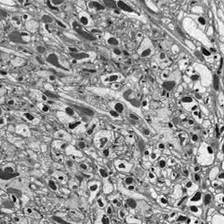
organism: Drosophila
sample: Optic lobe